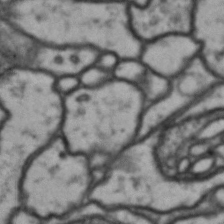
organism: Drosophila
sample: Brain